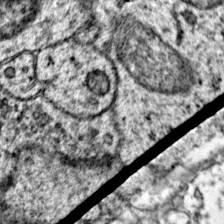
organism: Mouse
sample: Primary visual cortex